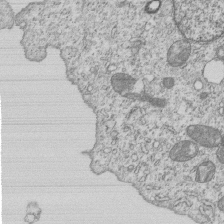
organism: Human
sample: MDA-MB-231 cells